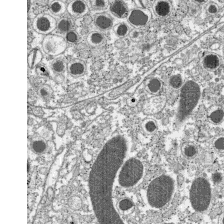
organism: C57BL Mouse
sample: Pancreatic islet